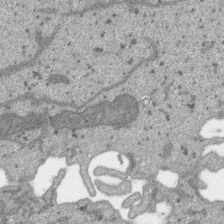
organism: Human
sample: Lung epithelial cells infected with SARS-CoV-2